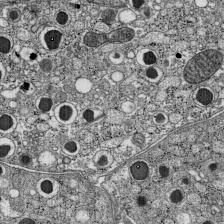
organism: C57BL Mouse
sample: Pancreatic islet